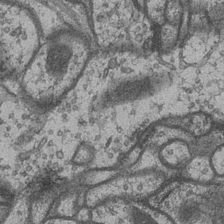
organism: Drosophila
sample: Optic medulla